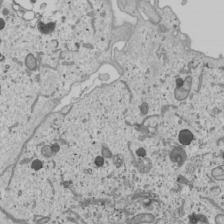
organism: Human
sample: Mitochondria in U2OS cells